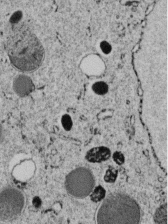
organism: C. elegans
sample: C. elegans embryo early stage